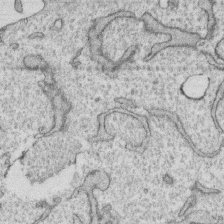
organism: Human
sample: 1205lu cells